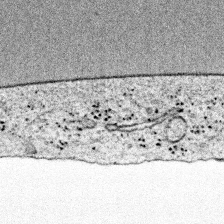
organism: Human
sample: HeLa cells